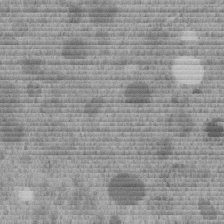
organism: C. elegans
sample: C. elegans embryo early stage